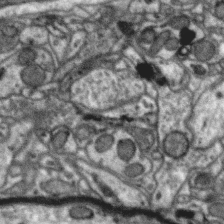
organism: Zebra finch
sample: Brain